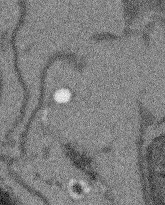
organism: Arabidopsis thaliana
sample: Root tip